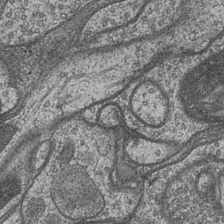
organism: Drosophila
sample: Optic medulla